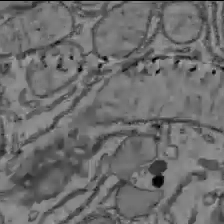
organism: C57BL Mouse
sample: Liver